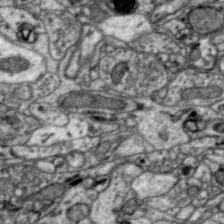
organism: Zebra finch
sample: Brain